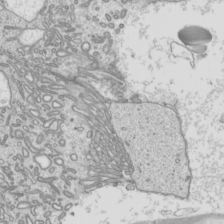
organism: Mouse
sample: Cilia; mouse epididymis